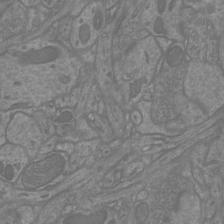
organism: Mouse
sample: Cortical neurons